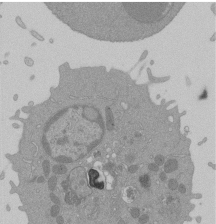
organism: Mouse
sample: Activated Pmel transgenic CD8+ T Cells